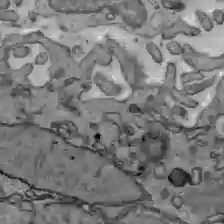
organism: C57BL Mouse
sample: Liver